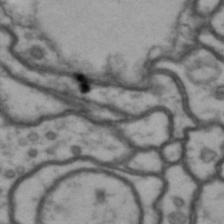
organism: Drosophila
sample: Brain